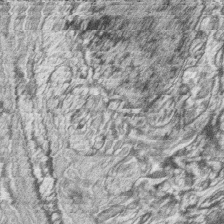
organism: Zebrafish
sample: synaptic ribbons in rod cells and cone cells